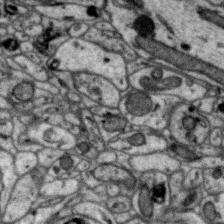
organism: Zebra finch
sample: Brain